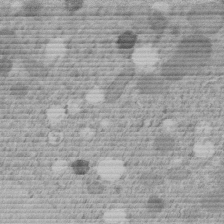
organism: C. elegans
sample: C. elegans embryo early stage